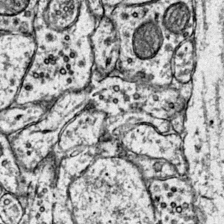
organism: Mouse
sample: Primary visual cortex